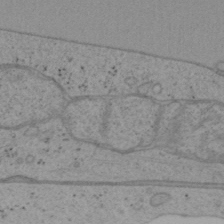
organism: Human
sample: HeLa cells